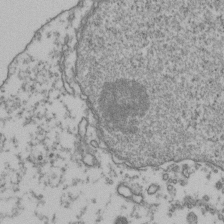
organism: Human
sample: Activated Jurkat CD4+ T cells